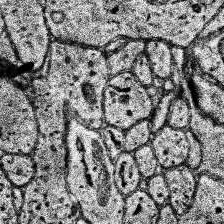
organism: Human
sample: Temporal Lobe